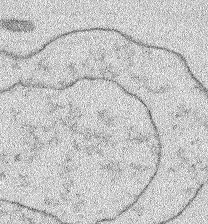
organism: Human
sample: HeLa cells